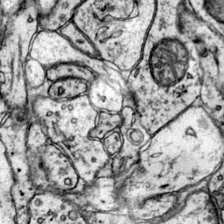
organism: Mouse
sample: Primary visual cortex